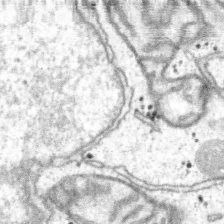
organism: Human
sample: HeLa cells